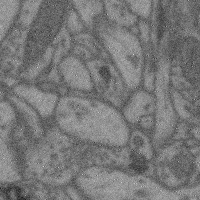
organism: Mouse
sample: Cerebral cortex